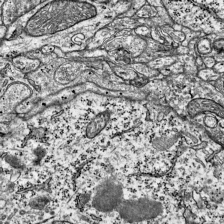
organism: Mouse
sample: Visual Cortex